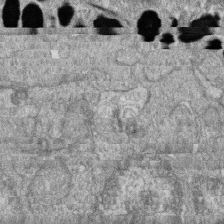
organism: Zebrafish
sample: Cilia; retinal pigment epithelium